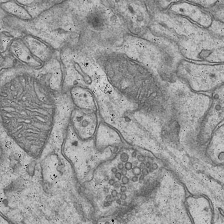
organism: Mouse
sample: CA1 Hippocampus